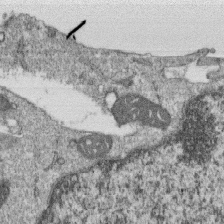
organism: African green monkey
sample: Vero E6 cells infected with SARS-CoV-2